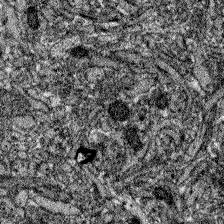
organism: Zebrafish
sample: Larval olfactory bulb